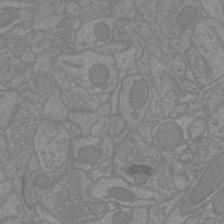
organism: Mouse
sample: Cortical neurons